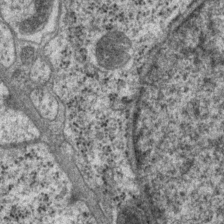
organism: P. pacificus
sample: Pharynx